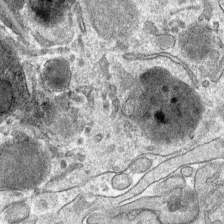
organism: Mouse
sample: Mouse hepatocytes